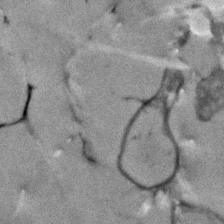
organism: Human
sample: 1205lu cells